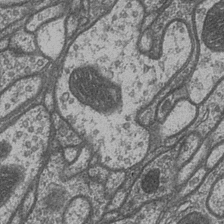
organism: Drosophila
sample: Optic medulla